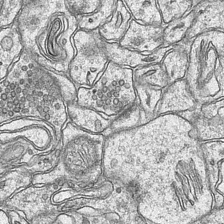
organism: Mouse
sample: CA1 Hippocampus